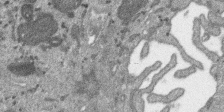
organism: Human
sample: Lung epithelial cells infected with SARS-CoV-2